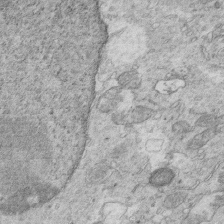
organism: Mouse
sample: Multiciliated cells